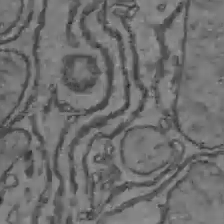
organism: C57BL Mouse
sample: Liver